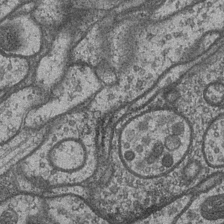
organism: Drosophila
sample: Optic medulla